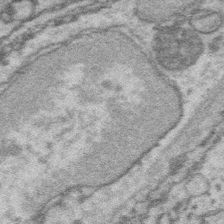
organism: Platynereis dumerilii